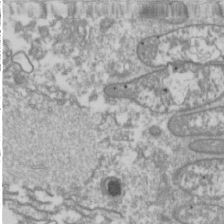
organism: Drosophila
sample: Cell division; meiosis; drosophila spermatocytes